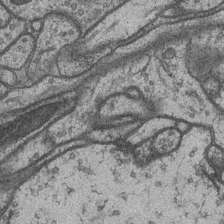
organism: Drosophila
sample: Optic medulla